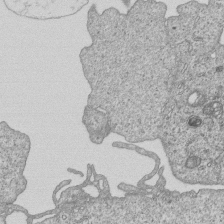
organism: Human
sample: MDA-MB-231 cells